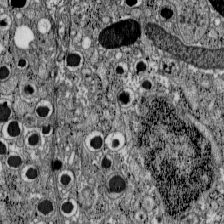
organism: C57BL Mouse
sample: Pancreatic islet